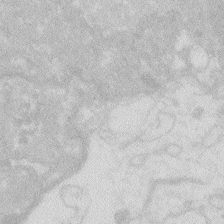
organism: Zebrafish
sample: Macrophage